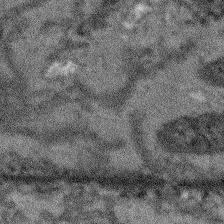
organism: Arabidopsis thaliana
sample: Root tip